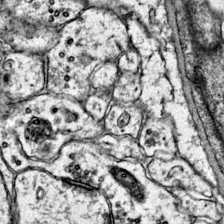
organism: Mouse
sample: Primary visual cortex